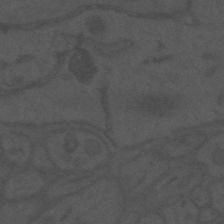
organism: Mouse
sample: Suprachiasmatic nucleus